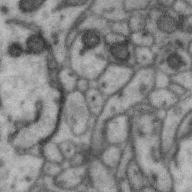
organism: Zebra finch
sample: Brain